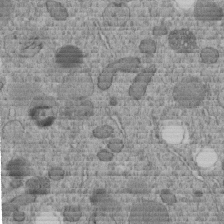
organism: C. elegans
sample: C. elegans embryo early stage